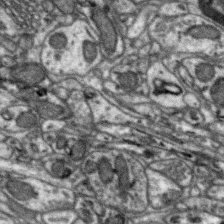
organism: Zebra finch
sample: Brain